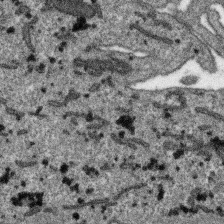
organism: Human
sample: Lung epithelial cells infected with SARS-CoV-2